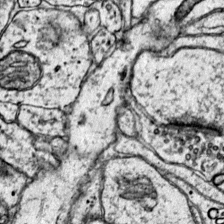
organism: Mouse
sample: Primary visual cortex